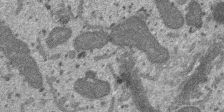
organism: Human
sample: Lung epithelial cells infected with SARS-CoV-2